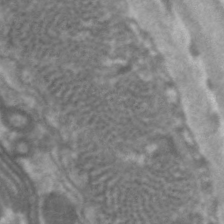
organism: C. elegans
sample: Pharynx